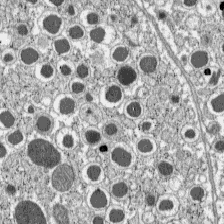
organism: C57BL Mouse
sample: Pancreatic islet